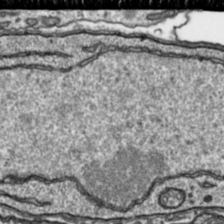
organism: Toxoplasma gondii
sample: Parasites in a vacuole inside a host cell